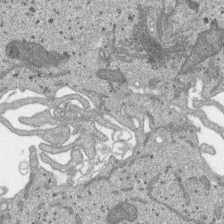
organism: Human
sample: Lung epithelial cells infected with SARS-CoV-2